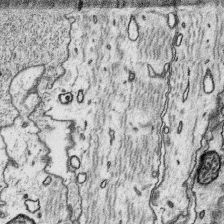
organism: Platynereis dumerilii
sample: Parapodia